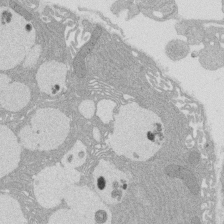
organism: Rat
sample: Salivary granule